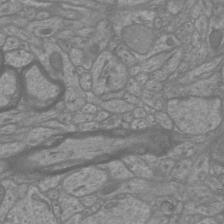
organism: Mouse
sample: Cortical neurons